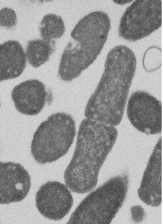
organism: E. coli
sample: Bacterial nucleoid